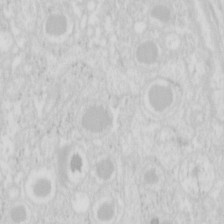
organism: Mouse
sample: Pancreas